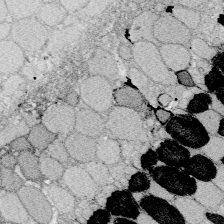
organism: Zebrafish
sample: Whole-Brain